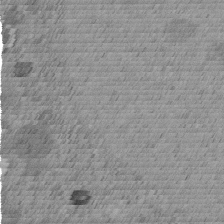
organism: C. elegans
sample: C. elegans embryo early stage